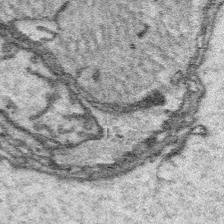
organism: Platynereis dumerilii